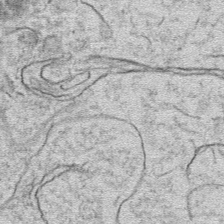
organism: Mouse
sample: Mouse hepatocytes